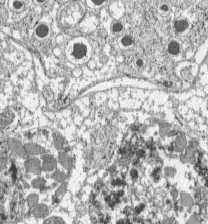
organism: C57BL Mouse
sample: Pancreatic islet